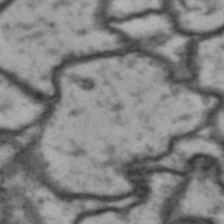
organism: Drosophila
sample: Brain